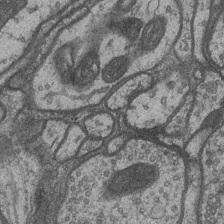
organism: Drosophila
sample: Optic medulla